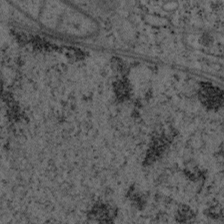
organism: Human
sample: HeLa cells